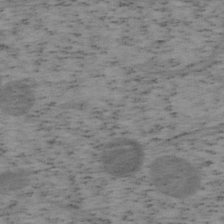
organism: Mouse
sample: OT-I killer T cells with ID8 ovarian cancer cells